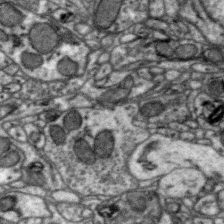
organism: Zebra finch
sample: Brain